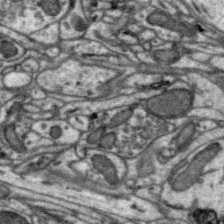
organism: Zebra finch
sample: Brain